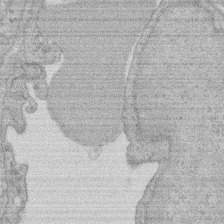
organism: Rat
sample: Salivary granule